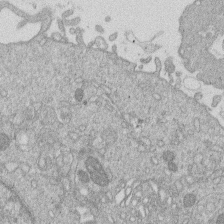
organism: Human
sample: Macrophage cells